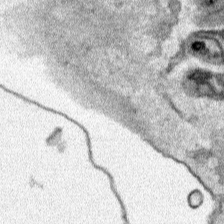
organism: Human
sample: Mitochondria in HCT116 cells